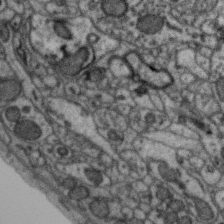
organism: Zebra finch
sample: Brain